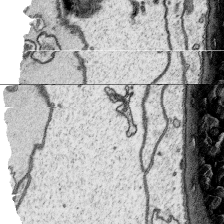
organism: Platynereis dumerilii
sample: Parapodia